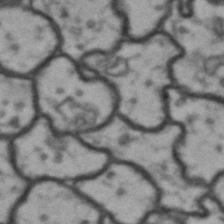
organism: Drosophila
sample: Brain